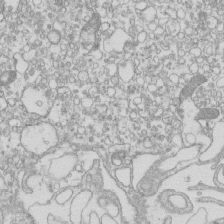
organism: Mouse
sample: Macrophages